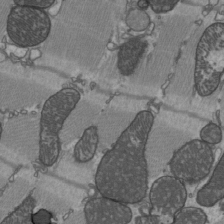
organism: C57BL Mouse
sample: Heart